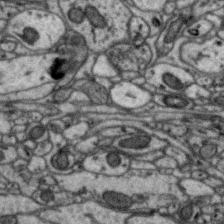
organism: Zebra finch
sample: Brain